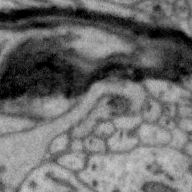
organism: Zebra finch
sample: Brain